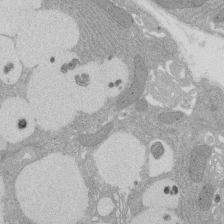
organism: Rat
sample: Salivary granule